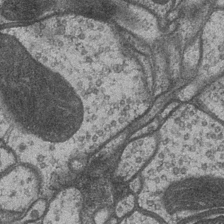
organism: Drosophila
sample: Optic medulla